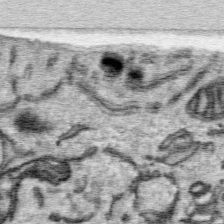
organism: Human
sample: HeLa cells